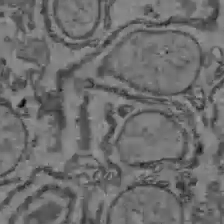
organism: C57BL Mouse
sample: Liver